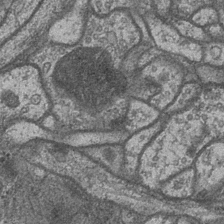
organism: Drosophila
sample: Optic medulla